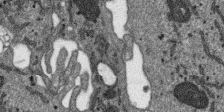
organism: Human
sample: Lung epithelial cells infected with SARS-CoV-2